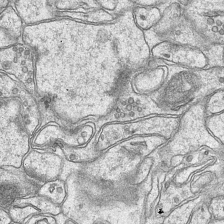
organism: Mouse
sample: CA1 Hippocampus